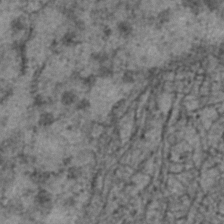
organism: C. elegans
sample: C. elegans embryo